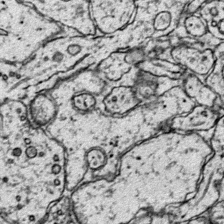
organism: Mouse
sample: Primary visual cortex